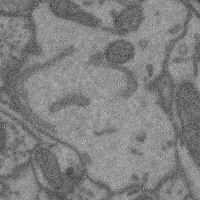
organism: Mouse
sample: Cerebral cortex